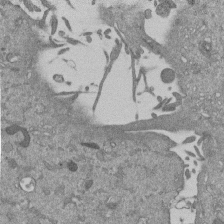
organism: Mouse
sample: ED-1 cell nuclei; centrioles